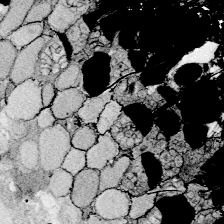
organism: Zebrafish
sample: Whole-Brain